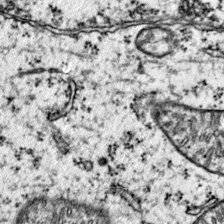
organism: Mouse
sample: Primary visual cortex